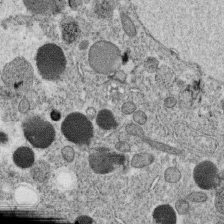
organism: C. elegans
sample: C. elegans oocyte; sperm cells